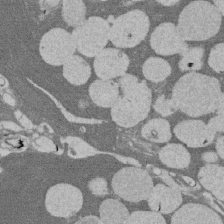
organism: Rat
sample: Salivary granule